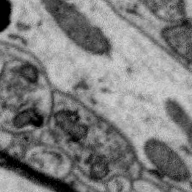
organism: Zebra finch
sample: Brain